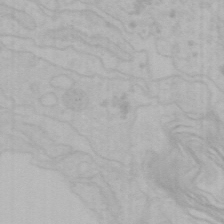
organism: Mouse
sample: Choroid plexus